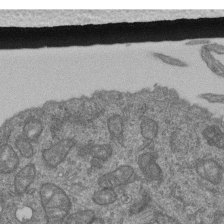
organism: Human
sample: Retinal organoid Rod and Cone cells